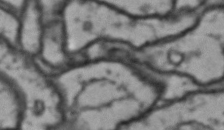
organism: Drosophila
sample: Brain